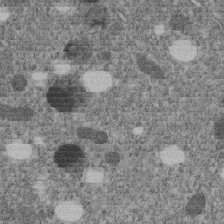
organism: C. elegans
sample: C. elegans embryo early stage